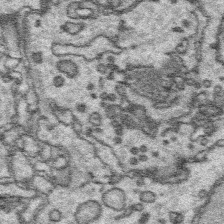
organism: Platynereis dumerilii